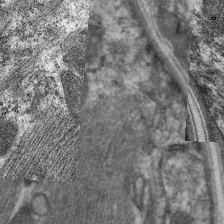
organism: C. elegans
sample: Pharynx